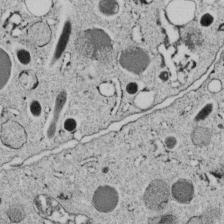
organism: C. elegans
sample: C. elegans embryo early stage